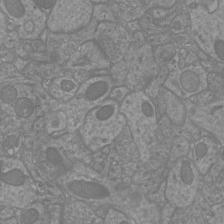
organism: Mouse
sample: Cortical neurons